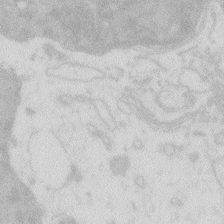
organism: Zebrafish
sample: Macrophage